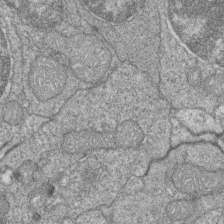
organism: Zebrafish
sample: Cilia; retinal pigment epithelium